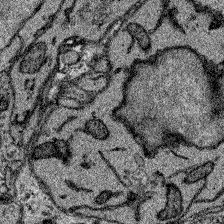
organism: Zebrafish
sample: Larval olfactory bulb